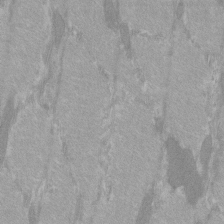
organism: C57BL Mouse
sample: Tibialis anterior muscle cell